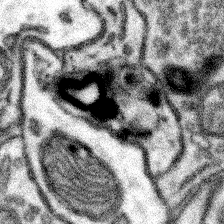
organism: Mouse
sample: Somatosensory cortex neuropil